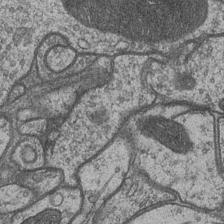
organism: Drosophila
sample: Optic medulla